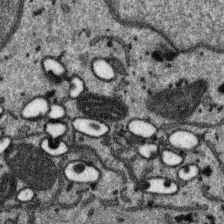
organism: Human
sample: Lung epithelial cells infected with SARS-CoV-2